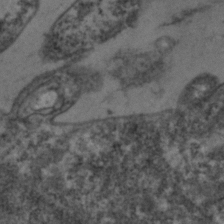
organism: Zebrafish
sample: Zebrafish embryo